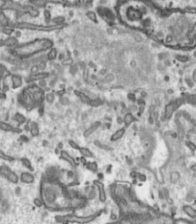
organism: Toxoplasma gondii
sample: Parasites in a vacuole inside a host cell